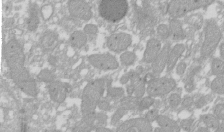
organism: Xenopus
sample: Cilia; centrioles in frog embryo cells